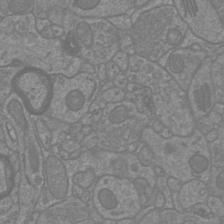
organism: Mouse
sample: Cortical neurons